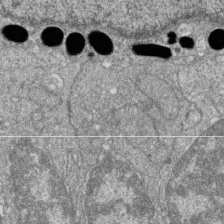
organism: Zebrafish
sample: Cilia; retinal pigment epithelium